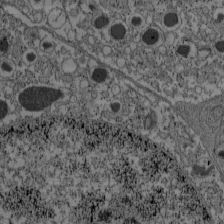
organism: C57BL Mouse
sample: Pancreatic islet